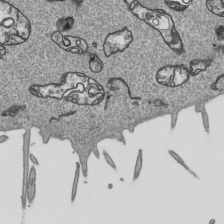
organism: Human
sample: Mitochondria in HCT116 cells